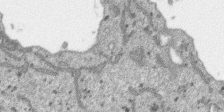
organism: Human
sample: Lung epithelial cells infected with SARS-CoV-2